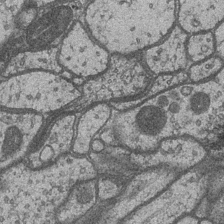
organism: Drosophila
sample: Optic medulla